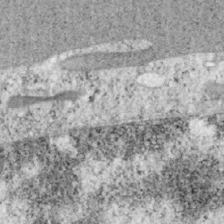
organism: Mouse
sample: OT-I killer T cells with ID8 ovarian cancer cells